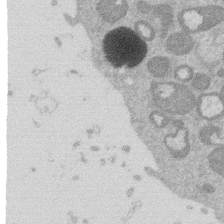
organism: Mouse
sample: Dividing mouse embryo 1 cell stage